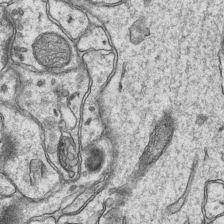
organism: Mouse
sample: CA1 Hippocampus